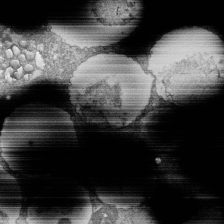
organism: Tetrahymena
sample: Cilia in tetrahymena